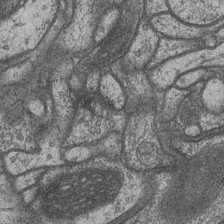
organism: Drosophila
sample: Optic medulla